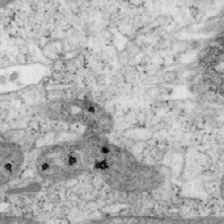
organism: Mouse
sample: OT-I killer T cells with ID8 ovarian cancer cells